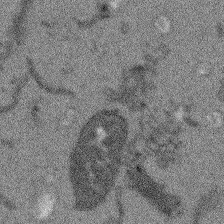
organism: Arabidopsis thaliana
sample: Root tip